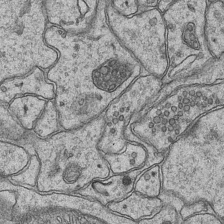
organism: Mouse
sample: CA1 Hippocampus